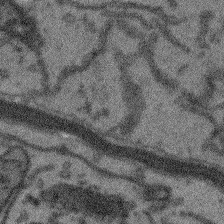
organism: Arabidopsis thaliana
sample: Root tip